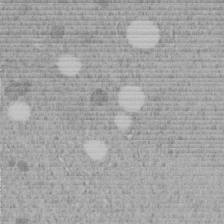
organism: C. elegans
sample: C. elegans embryo early stage